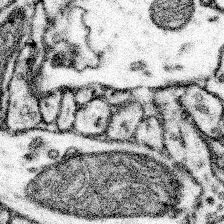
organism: Mouse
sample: Somatosensory cortex neuropil